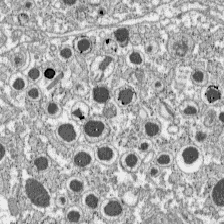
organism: C57BL Mouse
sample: Pancreatic islet